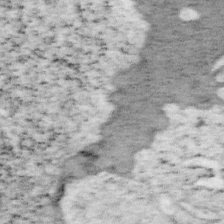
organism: Mouse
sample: OT-I killer T cells with ID8 ovarian cancer cells